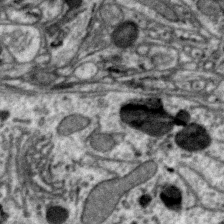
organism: Zebra finch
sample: Brain